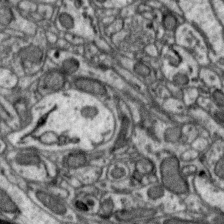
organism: Zebra finch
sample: Brain